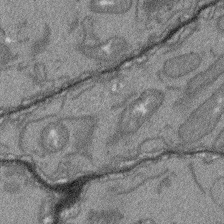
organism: Arabidopsis thaliana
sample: Root tip